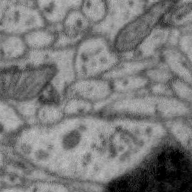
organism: Zebra finch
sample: Brain